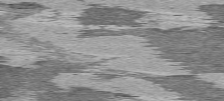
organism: C57BL Mouse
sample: Heart